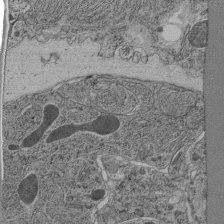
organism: C. elegans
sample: C. elegans pharynx